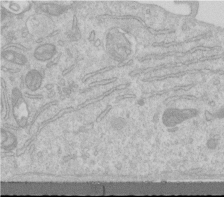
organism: Human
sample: Centriole in RPE cells